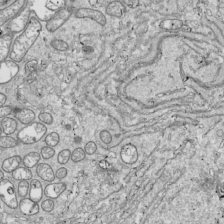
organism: Drosophila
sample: Cell division; meiosis; drosophila spermatocytes